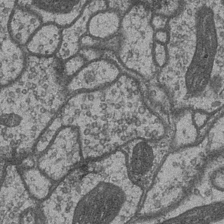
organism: Drosophila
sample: Optic medulla